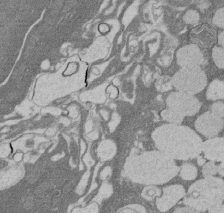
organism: Rat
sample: Salivary granule